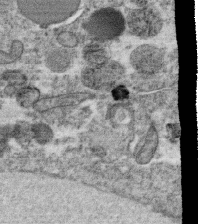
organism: C. elegans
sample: C. elegans oocyte; sperm cells